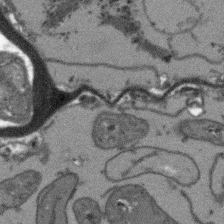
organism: Arabidopsis thaliana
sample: Root tip